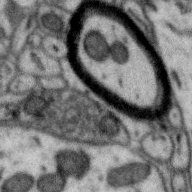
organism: Zebra finch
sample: Brain